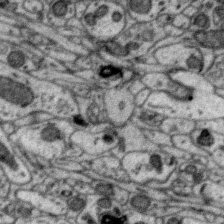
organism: Zebra finch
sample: Brain